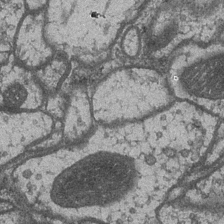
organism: Drosophila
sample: Optic medulla